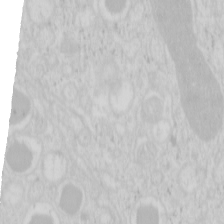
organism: Mouse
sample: Pancreas